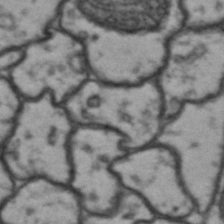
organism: Drosophila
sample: Brain